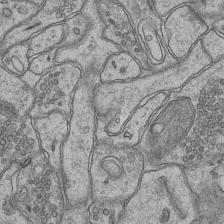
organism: Mouse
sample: CA1 Hippocampus